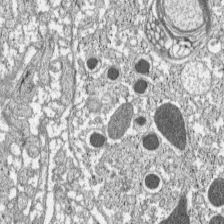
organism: C57BL Mouse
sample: Pancreatic islet